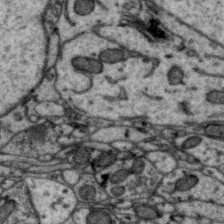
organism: Zebra finch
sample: Brain